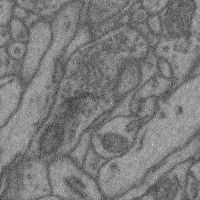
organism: Mouse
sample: Cerebral cortex